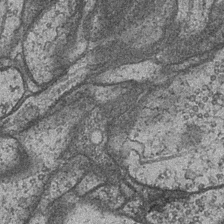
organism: Drosophila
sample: Optic medulla